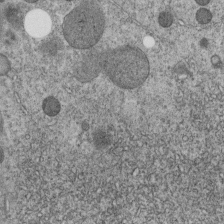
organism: C. elegans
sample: C. elegans embryo early stage